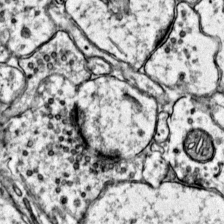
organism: Mouse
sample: Primary visual cortex